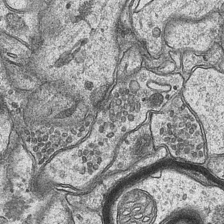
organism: Mouse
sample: CA1 Hippocampus